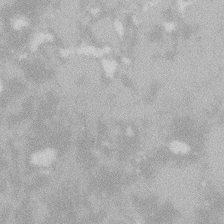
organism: Zebrafish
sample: Macrophage